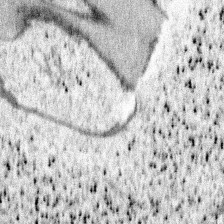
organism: Human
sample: HeLa cells